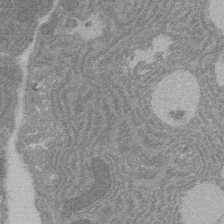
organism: Rat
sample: Salivary granule